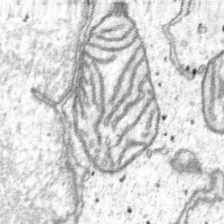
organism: Human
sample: HeLa cells